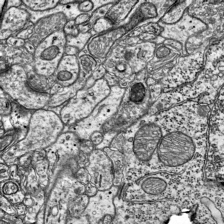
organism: Mouse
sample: Visual Cortex